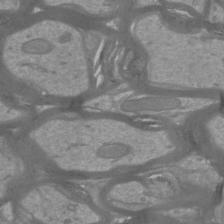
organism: Mouse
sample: Cortical neurons